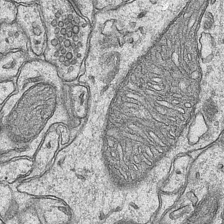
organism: Mouse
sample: CA1 Hippocampus